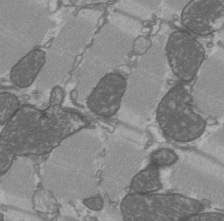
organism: C57BL Mouse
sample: Heart